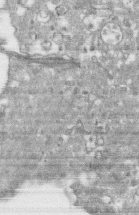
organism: Human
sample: CRL-1474